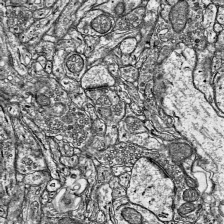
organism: Mouse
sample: Visual Cortex